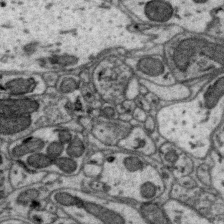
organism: Zebra finch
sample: Brain